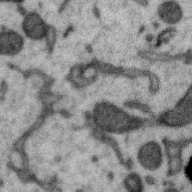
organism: Zebra finch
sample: Brain